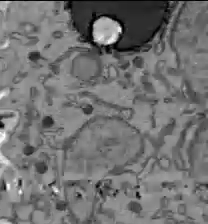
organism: C57BL Mouse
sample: Liver